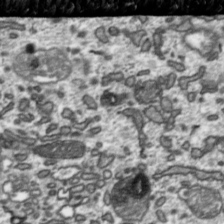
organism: Toxoplasma gondii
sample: Parasites in a vacuole inside a host cell